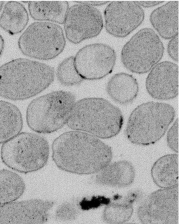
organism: E. coli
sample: Bacterial nucleoid